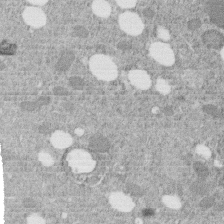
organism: C. elegans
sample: C. elegans embryo early stage